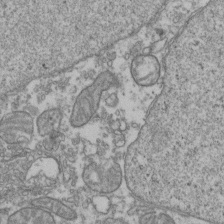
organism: Human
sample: Activated Jurkat CD4+ T cells